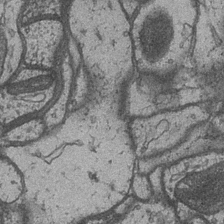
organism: Drosophila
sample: Optic medulla